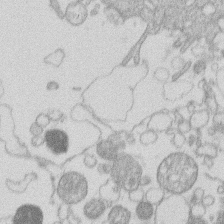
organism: Human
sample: Macrophage cells